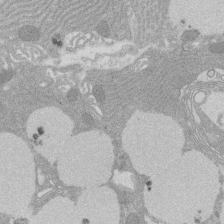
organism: Rat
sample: Salivary granule